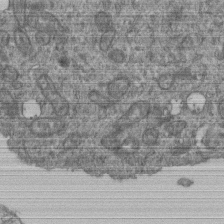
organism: Human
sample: Retinal organoid Rod and Cone cells